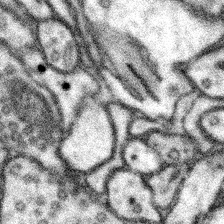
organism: Mouse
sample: Somatosensory cortex neuropil